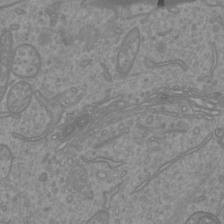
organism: Mouse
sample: Cortical neurons